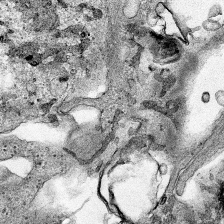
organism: Human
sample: Mitochondria in HCT116 cells